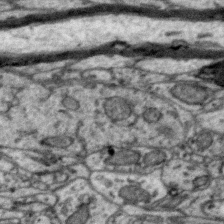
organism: Zebra finch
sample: Brain